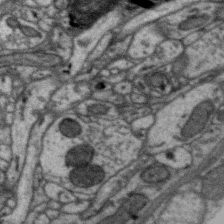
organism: Zebra finch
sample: Brain